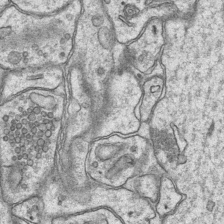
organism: Mouse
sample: CA1 Hippocampus